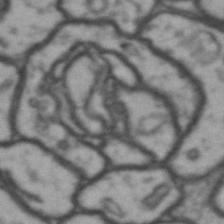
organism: Drosophila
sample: Brain